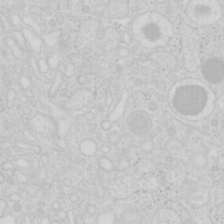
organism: Mouse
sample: Pancreas